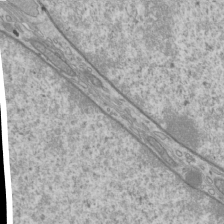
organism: Mouse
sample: Cilia; mouse epididymis